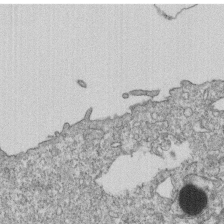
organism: Human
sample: HeLa cell HIV synapse